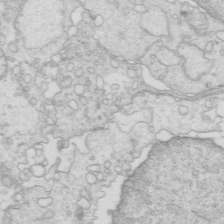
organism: Mouse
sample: Multiciliated cells